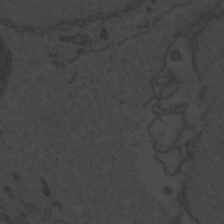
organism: Zebrafish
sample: Macrophage infected with Toxoplasma gondii